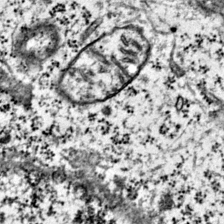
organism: Mouse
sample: Primary visual cortex